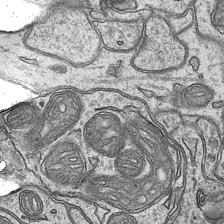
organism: Mouse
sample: CA1 Hippocampus